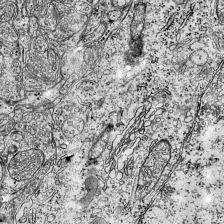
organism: Mouse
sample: Visual Cortex